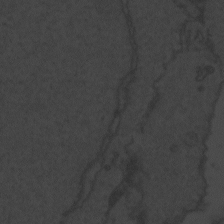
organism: Zebrafish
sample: Macrophage infected with Toxoplasma gondii